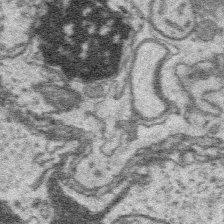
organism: Platynereis dumerilii